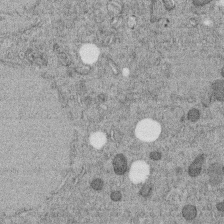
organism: C. elegans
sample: C. elegans embryo early stage